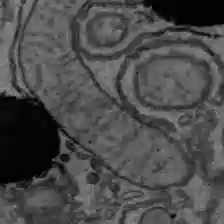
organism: C57BL Mouse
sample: Liver